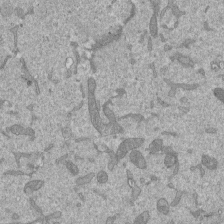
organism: Mouse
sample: ED-1 cell nuclei; centrioles